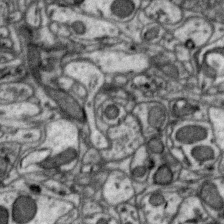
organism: Zebra finch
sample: Brain